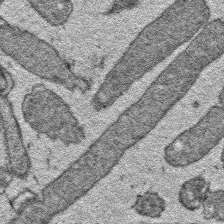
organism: E. coli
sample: E. Coli Bacteria